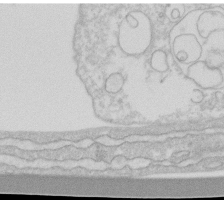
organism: Human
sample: Fibroblast cells